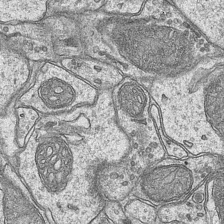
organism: Mouse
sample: CA1 Hippocampus